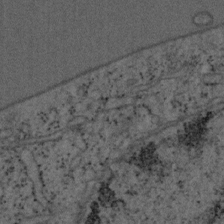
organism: Human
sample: HeLa cells